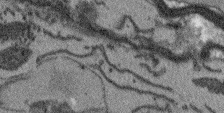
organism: Arabidopsis thaliana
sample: Root tip